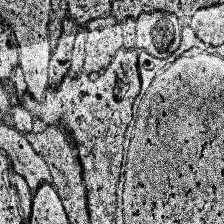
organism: Human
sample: Temporal Lobe